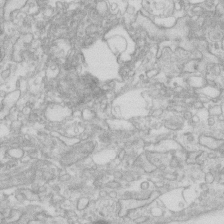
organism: Human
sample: Fibroblast cells